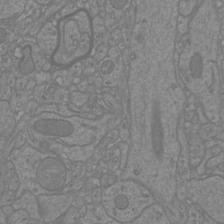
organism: Mouse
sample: Cortical neurons